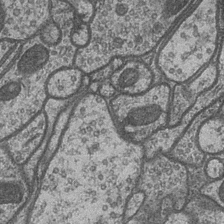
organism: Drosophila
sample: Optic medulla